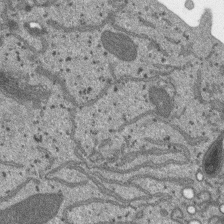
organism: Human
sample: Lung epithelial cells infected with SARS-CoV-2